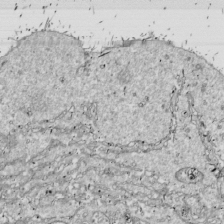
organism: Drosophila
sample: Cell division; meiosis; drosophila spermatocytes